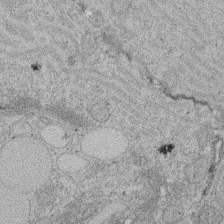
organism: Rat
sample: Salivary granule